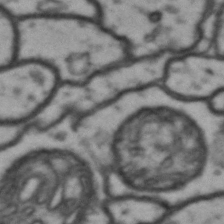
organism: Drosophila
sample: Brain